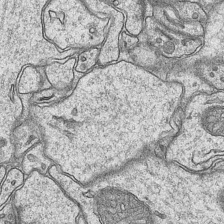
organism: Mouse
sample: CA1 Hippocampus